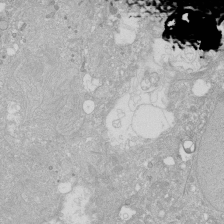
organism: Human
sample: Caco-2 cells